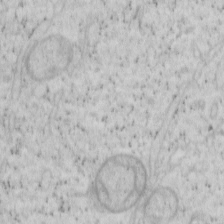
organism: Human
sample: HeLa cells